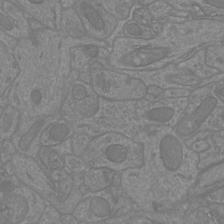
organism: Mouse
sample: Cortical neurons